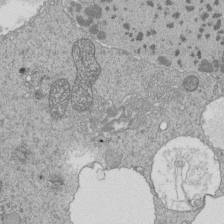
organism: Tetrahymena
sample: Cilia in tetrahymena